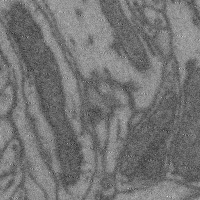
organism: Mouse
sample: Cerebral cortex